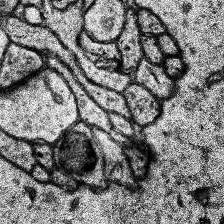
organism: Human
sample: Temporal Lobe